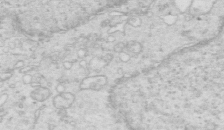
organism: Mouse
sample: Multiciliated cells